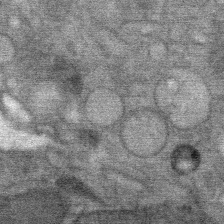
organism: Mouse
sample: Mouse Salivary gland